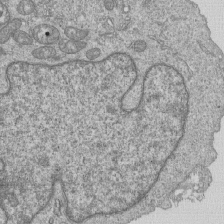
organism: Human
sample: MDA-MB-231 cells